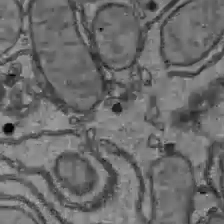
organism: C57BL Mouse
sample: Liver